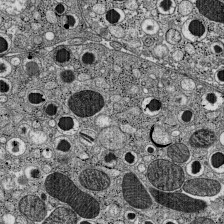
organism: C57BL Mouse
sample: Pancreatic islet